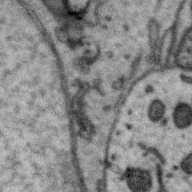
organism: Zebra finch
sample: Brain